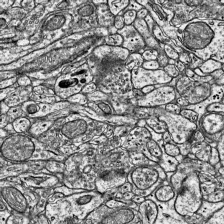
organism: Mouse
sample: Visual Cortex